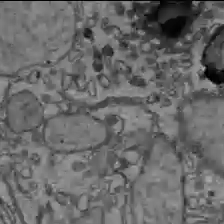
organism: C57BL Mouse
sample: Liver